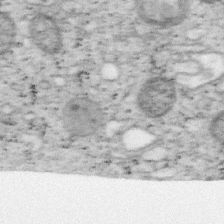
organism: Mouse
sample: OT-I killer T cells with ID8 ovarian cancer cells